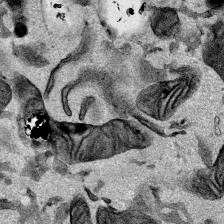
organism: Mouse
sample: Cancer cell death in ED-1 cells